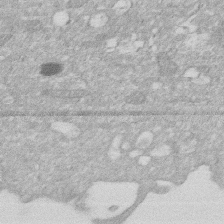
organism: Human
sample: HIV infected U937 cells